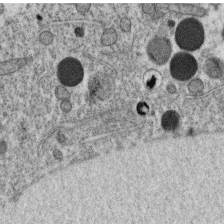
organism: C. elegans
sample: C. elegans oocyte; sperm cells